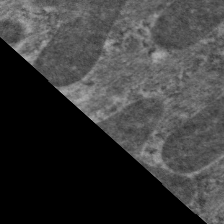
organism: C. elegans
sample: Pharynx